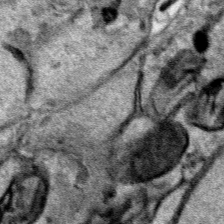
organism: Human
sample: Mitochondria in HCT116 cells